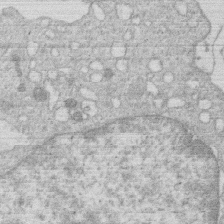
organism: Human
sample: Macrophage cells